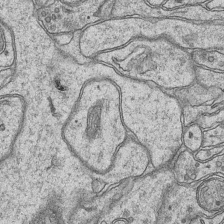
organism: Mouse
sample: CA1 Hippocampus